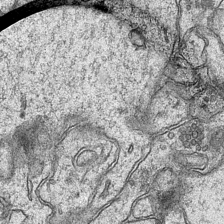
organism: Mouse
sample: CA1 Hippocampus